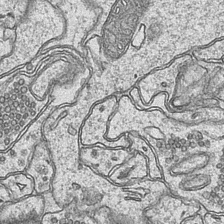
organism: Mouse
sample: CA1 Hippocampus